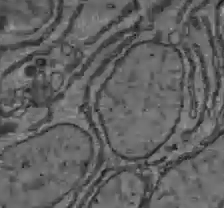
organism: C57BL Mouse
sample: Liver